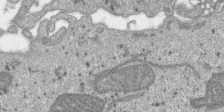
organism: Human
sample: Lung epithelial cells infected with SARS-CoV-2